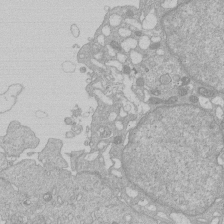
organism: Human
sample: Macrophage cells